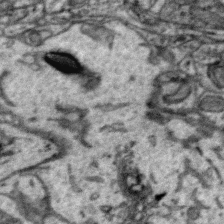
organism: Zebra finch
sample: Brain